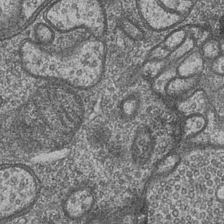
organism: Drosophila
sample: Optic medulla